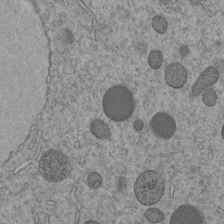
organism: C. elegans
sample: C. elegans embryo early stage